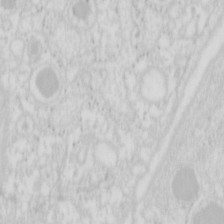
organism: Mouse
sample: Pancreas